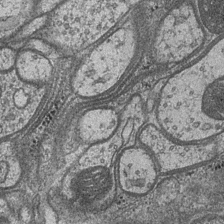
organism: Drosophila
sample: Optic medulla